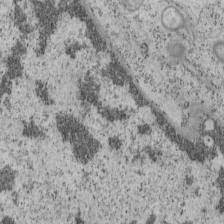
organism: Mouse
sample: OT-I killer T cells with ID8 ovarian cancer cells